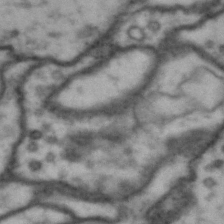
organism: Drosophila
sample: Brain